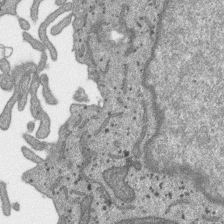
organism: Human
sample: Lung epithelial cells infected with SARS-CoV-2